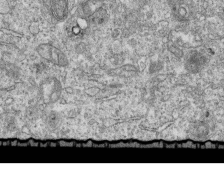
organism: Human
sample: HeLa cell HIV synapse